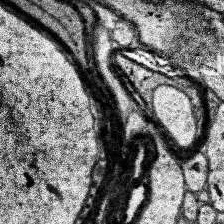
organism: Human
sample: Temporal Lobe